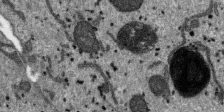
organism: Human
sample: Lung epithelial cells, uninfected (mock) control